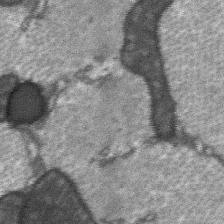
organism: C57BL Mouse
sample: Soleus